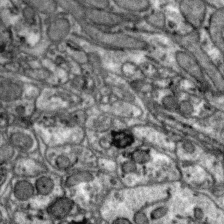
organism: Zebra finch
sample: Brain